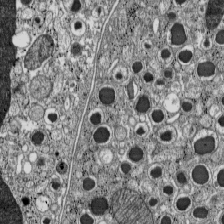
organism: C57BL Mouse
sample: Pancreatic islet